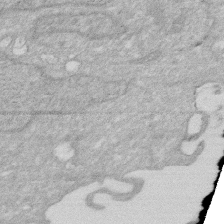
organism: Human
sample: HIV infected U937 cells